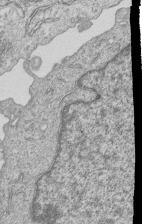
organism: Human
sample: MDA-MB-231 cells